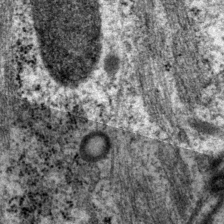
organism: P. pacificus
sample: Pharynx